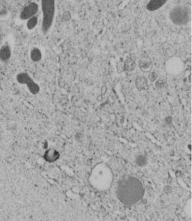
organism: C. elegans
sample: C. elegans embryo early stage